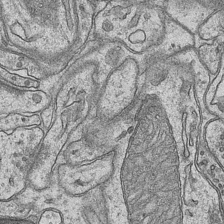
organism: Mouse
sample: CA1 Hippocampus